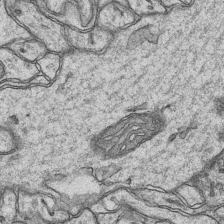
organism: Mouse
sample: CA1 Hippocampus